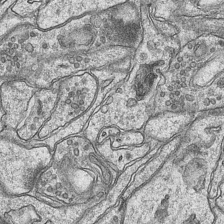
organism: Mouse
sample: CA1 Hippocampus